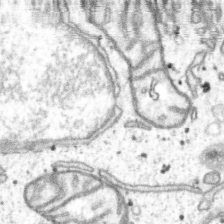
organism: Human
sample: HeLa cells